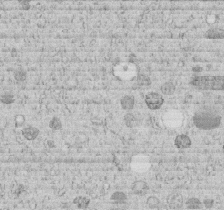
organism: C. elegans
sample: C. elegans embryo early stage